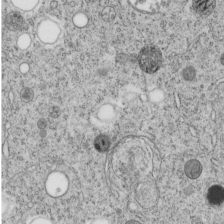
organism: C. elegans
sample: C. elegans embryo early stage